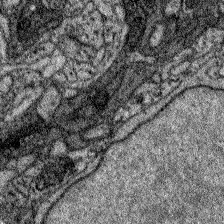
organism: Zebrafish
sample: Larval olfactory bulb